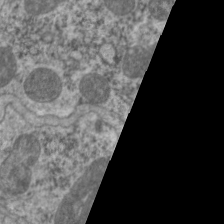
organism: C. elegans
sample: Pharynx